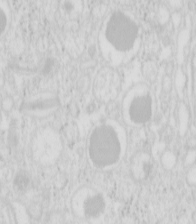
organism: Mouse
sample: Pancreas